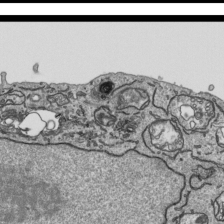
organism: Human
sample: Mitochondria in HCT116 cells